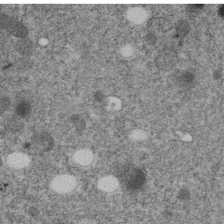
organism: C. elegans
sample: C. elegans embryo early stage